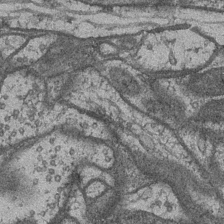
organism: Drosophila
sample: Optic medulla